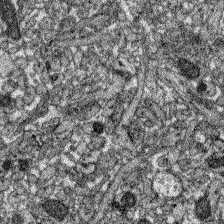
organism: Zebrafish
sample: Larval olfactory bulb